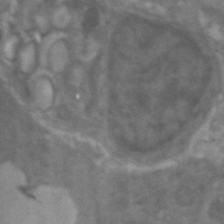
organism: Zebrafish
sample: Zebrafish embryo